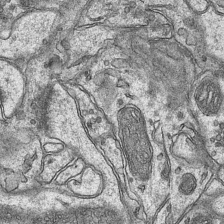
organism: Mouse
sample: CA1 Hippocampus